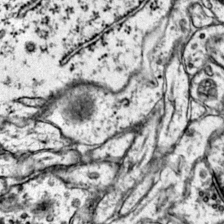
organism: Mouse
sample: Primary visual cortex